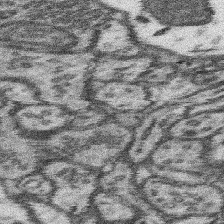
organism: Mouse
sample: Somatosensory cortex neuropil